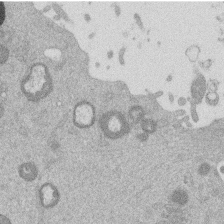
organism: Mouse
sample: Dividing mouse embryo 1 cell stage